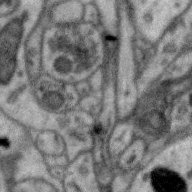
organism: Zebra finch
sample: Brain